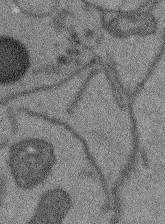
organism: Arabidopsis thaliana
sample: Root tip